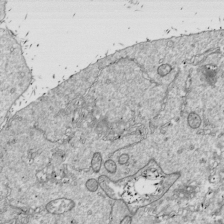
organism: Drosophila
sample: Cell division; meiosis; drosophila spermatocytes